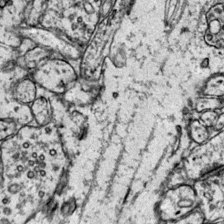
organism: Mouse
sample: Primary visual cortex